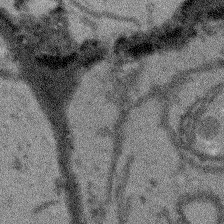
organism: Arabidopsis thaliana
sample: Root tip